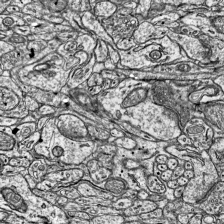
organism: Mouse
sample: Visual Cortex